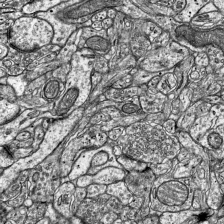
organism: Mouse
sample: Visual Cortex